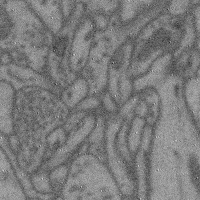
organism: Mouse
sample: Cerebral cortex